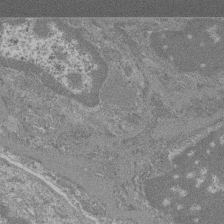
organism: Mouse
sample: Glomerulus